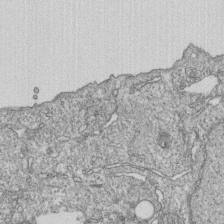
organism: Human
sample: HeLa cell HIV synapse